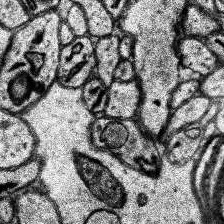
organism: Human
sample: Temporal Lobe